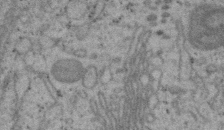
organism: Human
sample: HeLa cells